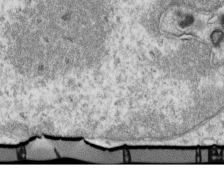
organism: Mouse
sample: Activated OT-1 CD8+ T cells